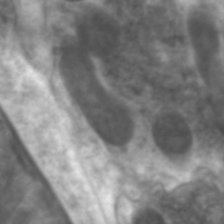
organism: C. elegans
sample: Pharynx